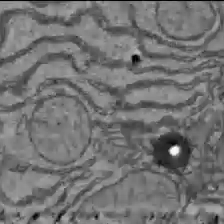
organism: C57BL Mouse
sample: Liver